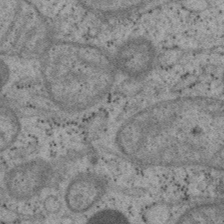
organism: Human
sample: HeLa cells